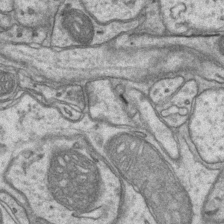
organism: Mouse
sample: CA1 Hippocampus